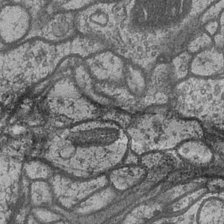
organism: Drosophila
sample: Optic medulla